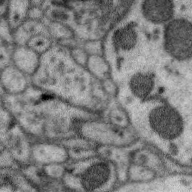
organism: Zebra finch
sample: Brain